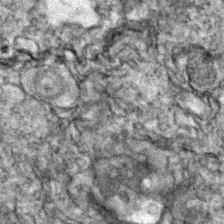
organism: Zebrafish